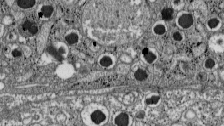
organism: C57BL Mouse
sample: Pancreatic islet